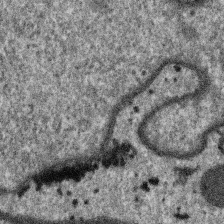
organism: Human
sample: Lung epithelial cells infected with SARS-CoV-2